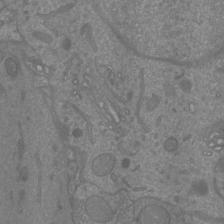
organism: Mouse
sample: Cortical neurons